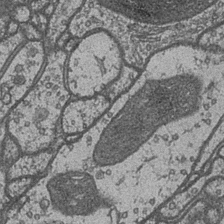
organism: Drosophila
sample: Optic medulla